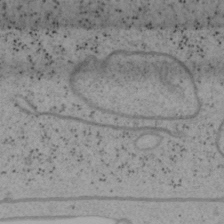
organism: Human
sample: HeLa cells